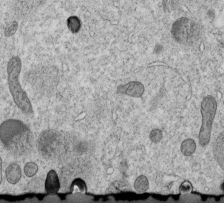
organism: C. elegans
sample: C. elegans embryo early stage